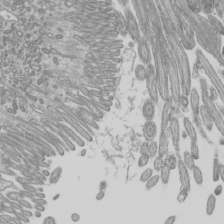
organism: Mouse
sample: Cilia; mouse epididymis